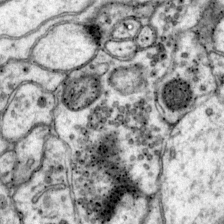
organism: Mouse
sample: Primary visual cortex